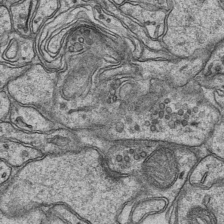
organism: Mouse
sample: CA1 Hippocampus